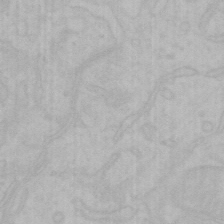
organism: Mouse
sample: Choroid plexus